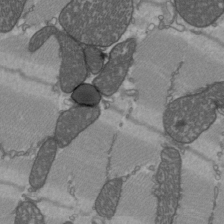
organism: C57BL Mouse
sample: Heart